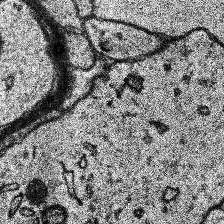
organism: Human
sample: Temporal Lobe